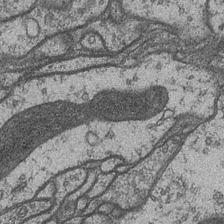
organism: Drosophila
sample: Optic medulla